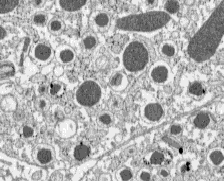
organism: C57BL Mouse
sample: Pancreatic islet